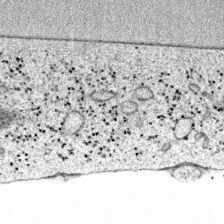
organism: Human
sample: HeLa cells